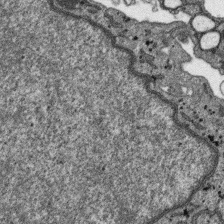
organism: Human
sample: Lung epithelial cells infected with SARS-CoV-2